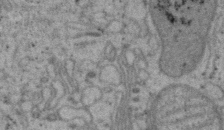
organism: Human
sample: HeLa cells